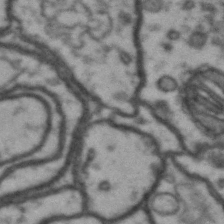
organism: Drosophila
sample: Brain